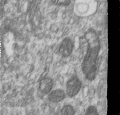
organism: Human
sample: Centriole in RPE cells